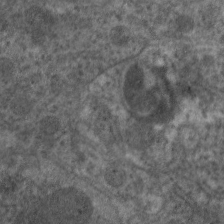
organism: C. elegans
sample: Pharynx